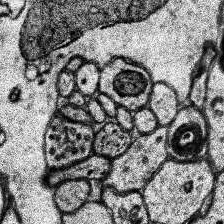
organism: Human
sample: Temporal Lobe